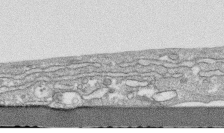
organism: Human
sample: CRL-1474